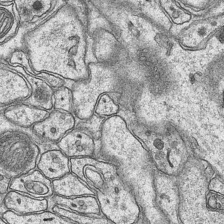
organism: Mouse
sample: CA1 Hippocampus